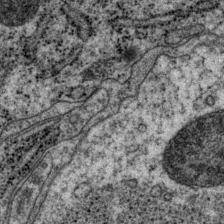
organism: P. pacificus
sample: Pharynx